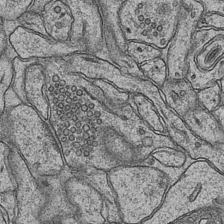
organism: Mouse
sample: CA1 Hippocampus